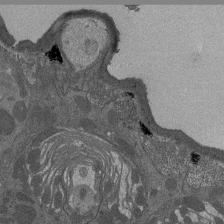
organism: Drosophila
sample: Antenna